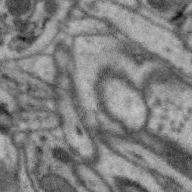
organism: Zebra finch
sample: Brain